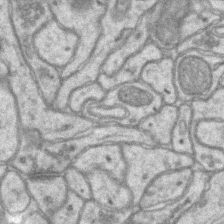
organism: Mouse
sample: CA1 Hippocampus